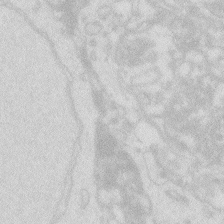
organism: Zebrafish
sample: Macrophage